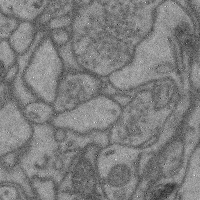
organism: Mouse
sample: Cerebral cortex